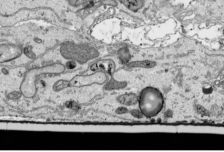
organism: Human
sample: Mitochondria in HCT116 cells